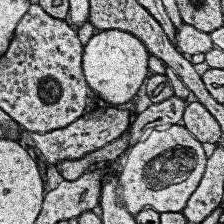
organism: Human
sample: Temporal Lobe